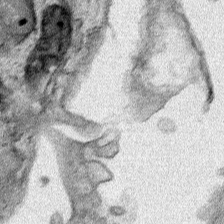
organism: Human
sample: Mitochondria in HCT116 cells